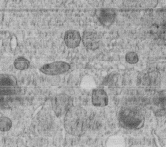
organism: C. elegans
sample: C. elegans embryo early stage